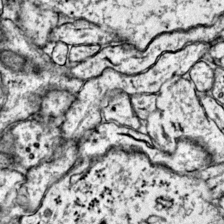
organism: Mouse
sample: Primary visual cortex